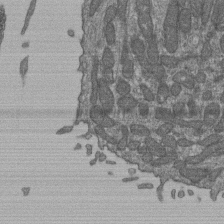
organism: Human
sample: Retinal organoid Rod and Cone cells